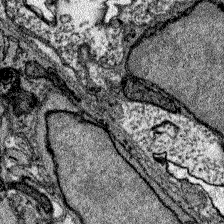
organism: Zebrafish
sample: Larval olfactory bulb